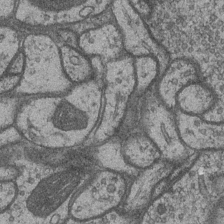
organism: Drosophila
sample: Optic medulla